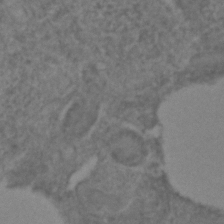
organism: C. elegans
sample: C. elegans embryo